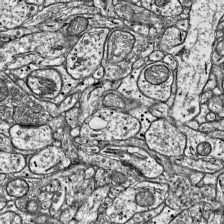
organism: Mouse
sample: Visual Cortex